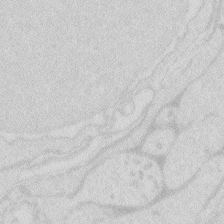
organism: Zebrafish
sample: Macrophage